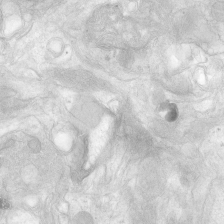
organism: Human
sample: Neocortex